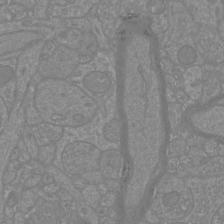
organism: Mouse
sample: Cortical neurons